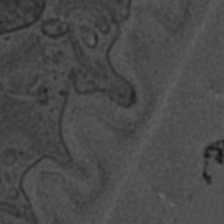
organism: C. elegans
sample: C. elegans embryo